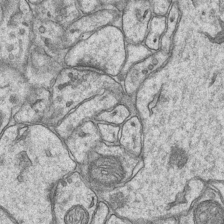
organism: Mouse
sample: CA1 Hippocampus